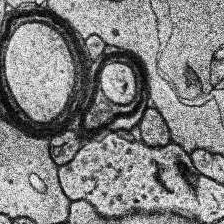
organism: Human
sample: Temporal Lobe